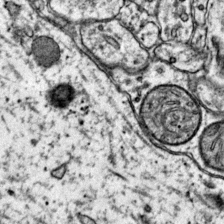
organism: Mouse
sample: Primary visual cortex